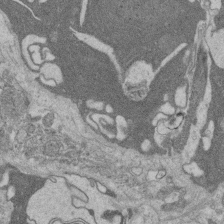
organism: Rat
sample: Salivary granule